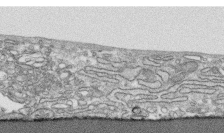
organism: Human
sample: CRL-1474